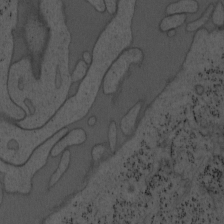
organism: Mouse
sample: OT-I killer T cells with ID8 ovarian cancer cells